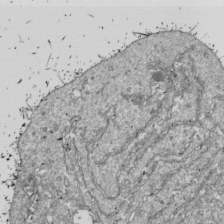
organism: Drosophila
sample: Cell division; meiosis; drosophila spermatocytes